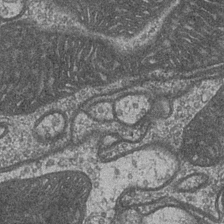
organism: Drosophila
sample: Optic medulla